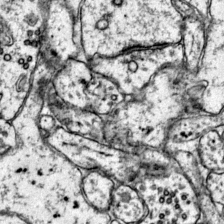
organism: Mouse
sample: Primary visual cortex